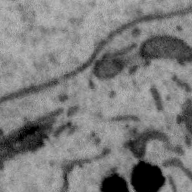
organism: Zebra finch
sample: Brain